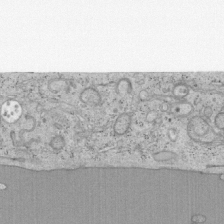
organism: Human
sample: HeLa cells